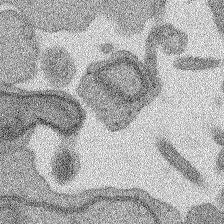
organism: Human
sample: HeLa cells